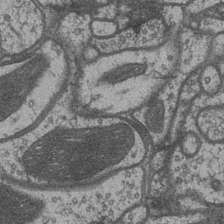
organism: Drosophila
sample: Optic medulla